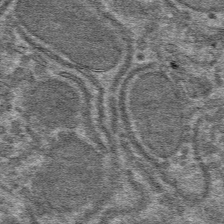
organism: Mouse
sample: Mouse hepatocytes